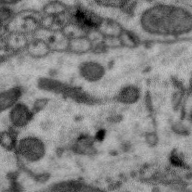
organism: Zebra finch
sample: Brain